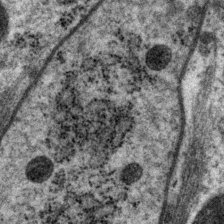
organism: P. pacificus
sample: Pharynx